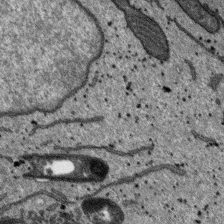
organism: Human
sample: Lung epithelial cells, uninfected (mock) control